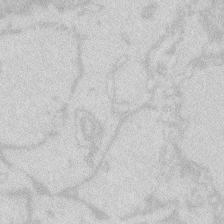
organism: Zebrafish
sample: Macrophage